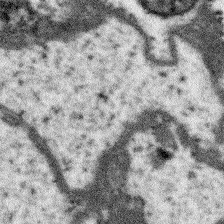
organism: Arabidopsis thaliana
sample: Root tip